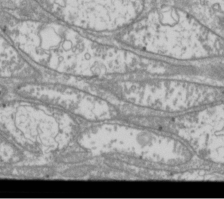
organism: Drosophila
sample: Cell division; meiosis; drosophila spermatocytes